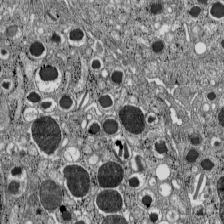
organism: C57BL Mouse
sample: Pancreatic islet